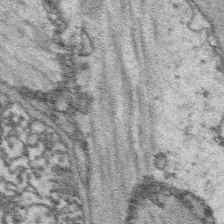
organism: Platynereis dumerilii